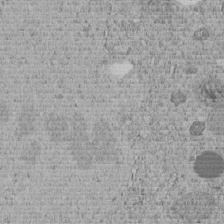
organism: C. elegans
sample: C. elegans embryo early stage